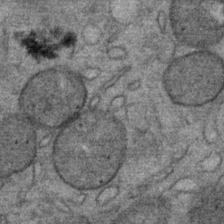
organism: Mouse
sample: Mouse Salivary gland